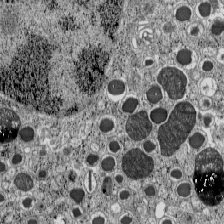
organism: C57BL Mouse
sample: Pancreatic islet